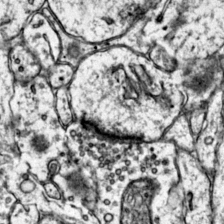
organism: Mouse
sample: Primary visual cortex